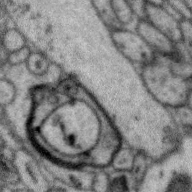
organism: Zebra finch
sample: Brain